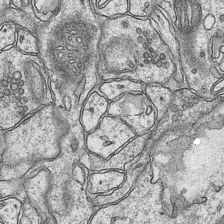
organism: Mouse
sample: CA1 Hippocampus